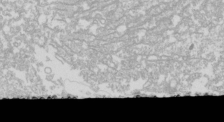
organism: Drosophila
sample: Cell division; meiosis; drosophila spermatocytes